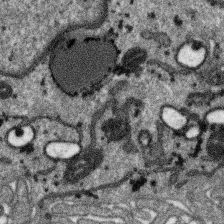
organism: Human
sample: Lung epithelial cells infected with SARS-CoV-2